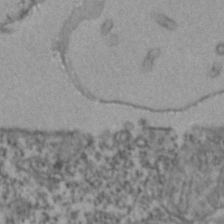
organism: Zebrafish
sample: Zebrafish embryo